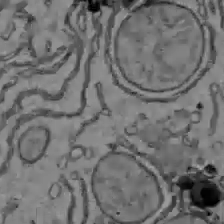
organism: C57BL Mouse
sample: Liver